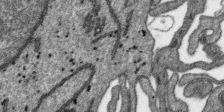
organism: Human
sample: Lung epithelial cells, uninfected (mock) control